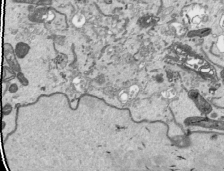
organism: Human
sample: Mitochondria in HCT116 cells